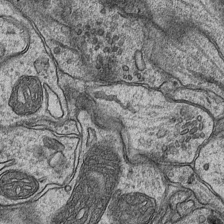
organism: Mouse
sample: CA1 Hippocampus